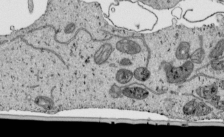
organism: Human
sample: Mitochondria in HCT116 cells